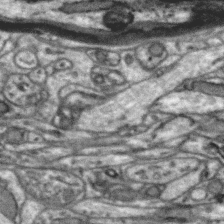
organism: Zebra finch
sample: Brain